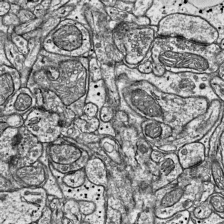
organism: Mouse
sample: Visual Cortex